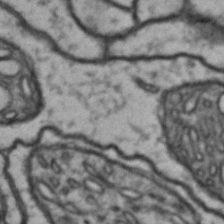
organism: Drosophila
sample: Brain